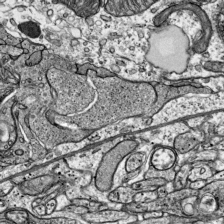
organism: Mouse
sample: Visual Cortex